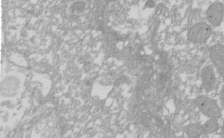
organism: Xenopus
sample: Cilia; centrioles in frog embryo cells